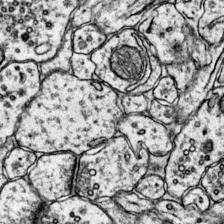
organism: Mouse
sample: Primary visual cortex